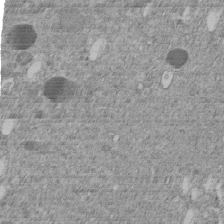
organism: C. elegans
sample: C. elegans embryo early stage